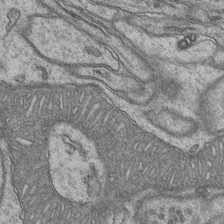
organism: Mouse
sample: CA1 Hippocampus